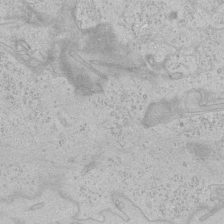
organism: Human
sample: Mitochondria in HCT116 cells